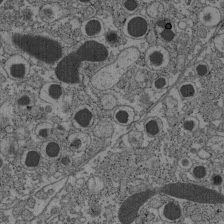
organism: C57BL Mouse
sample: Pancreatic islet